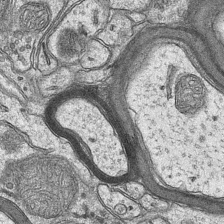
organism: Mouse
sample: CA1 Hippocampus